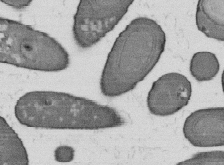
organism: B. subtilis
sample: Bacterial spore